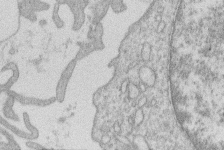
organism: Human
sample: Macrophage cells